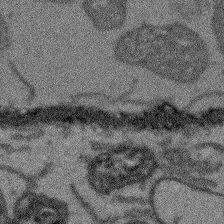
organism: Arabidopsis thaliana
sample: Root tip